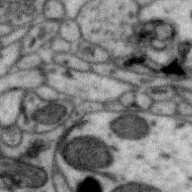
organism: Zebra finch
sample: Brain